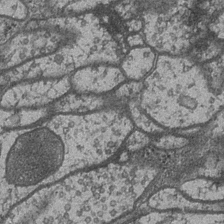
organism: Drosophila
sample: Optic medulla